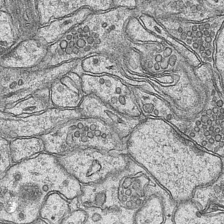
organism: Mouse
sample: CA1 Hippocampus